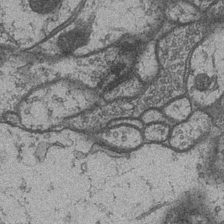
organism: Drosophila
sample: Optic medulla